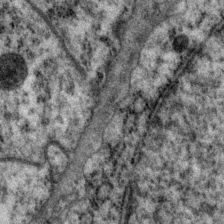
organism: P. pacificus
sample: Pharynx